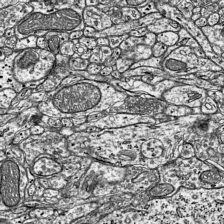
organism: Mouse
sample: Visual Cortex